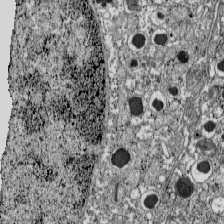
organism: C57BL Mouse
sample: Pancreatic islet